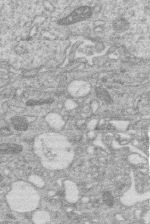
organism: Human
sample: Macrophage cells